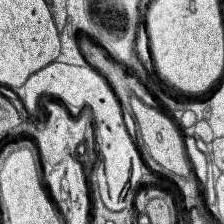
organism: Human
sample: Temporal Lobe